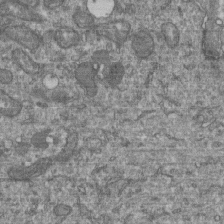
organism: Human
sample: Retinal organoid Rod and Cone cells